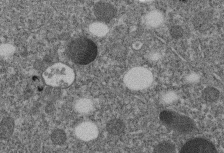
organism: C. elegans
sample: C. elegans embryo early stage